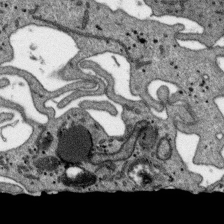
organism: Human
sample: Lung epithelial cells, uninfected (mock) control